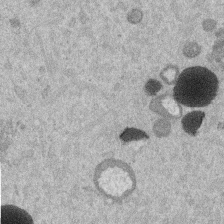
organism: Mouse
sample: Dividing mouse embryo 1 cell stage